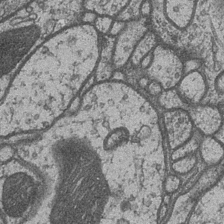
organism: Drosophila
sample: Optic medulla